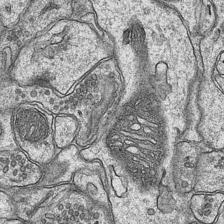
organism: Mouse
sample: CA1 Hippocampus